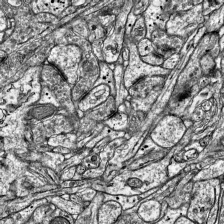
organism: Mouse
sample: Visual Cortex